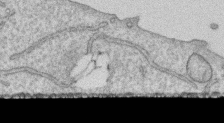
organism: Human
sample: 1205lu cells